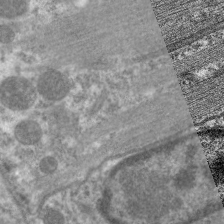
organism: C. elegans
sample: Pharynx